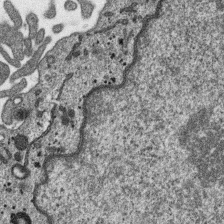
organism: Human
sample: Lung epithelial cells infected with SARS-CoV-2